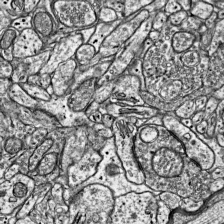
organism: Mouse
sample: Visual Cortex